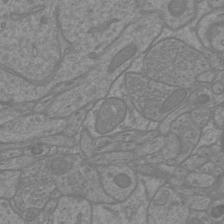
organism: Mouse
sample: Cortical neurons